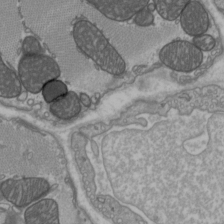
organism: C57BL Mouse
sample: Heart